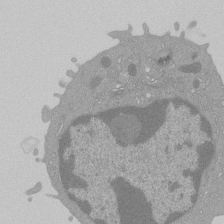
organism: Mouse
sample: Activated Pmel transgenic CD8+ T Cells